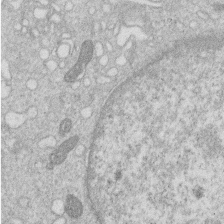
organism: Human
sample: Macrophage cells